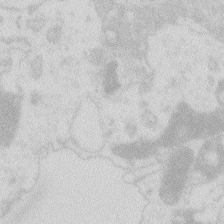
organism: Zebrafish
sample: Macrophage